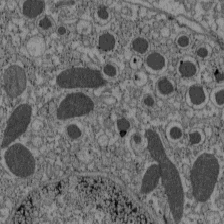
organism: C57BL Mouse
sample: Pancreatic islet